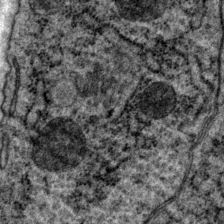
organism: P. pacificus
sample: Pharynx